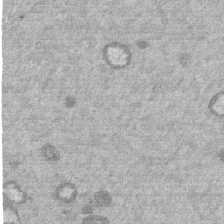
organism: Mouse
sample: Dividing mouse embryo 1 cell stage